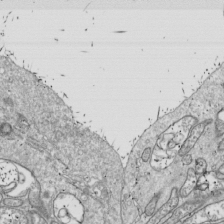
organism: Drosophila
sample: Cell division; meiosis; drosophila spermatocytes